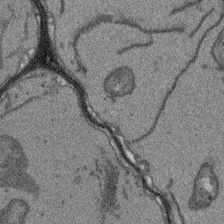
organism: Arabidopsis thaliana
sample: Root tip